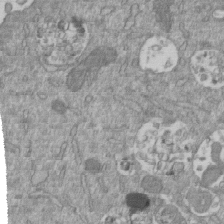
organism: Mouse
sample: ED-1 cell nuclei; centrioles